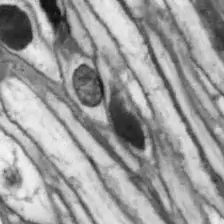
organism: Drosophila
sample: Optic lobe